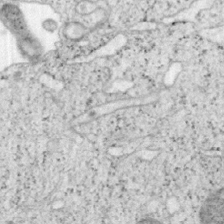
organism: Mouse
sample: OT-I killer T cells with ID8 ovarian cancer cells